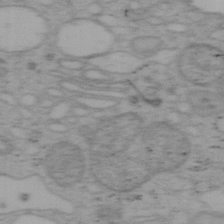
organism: Mouse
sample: OT-I killer T cells with ID8 ovarian cancer cells